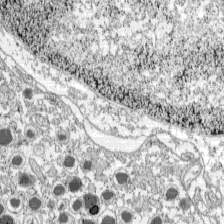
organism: C57BL Mouse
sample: Pancreatic islet